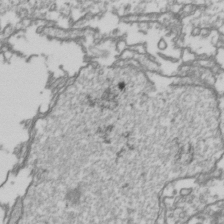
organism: Drosophila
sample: Cell division; meiosis; drosophila spermatocytes